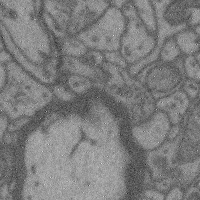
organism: Mouse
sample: Cerebral cortex